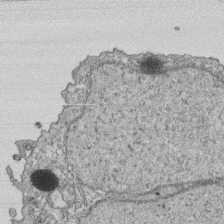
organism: Human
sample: HeLa cell HIV synapse